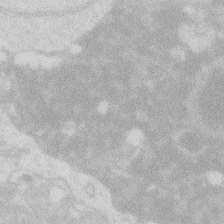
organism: Zebrafish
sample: Macrophage